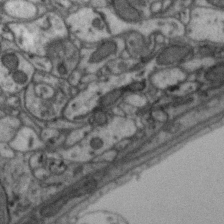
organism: Zebra finch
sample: Brain